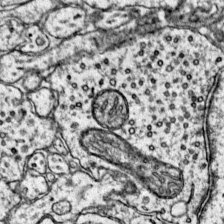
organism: Mouse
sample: Primary visual cortex